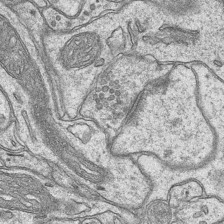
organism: Mouse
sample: CA1 Hippocampus